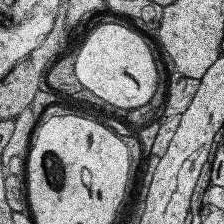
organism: Human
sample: Temporal Lobe